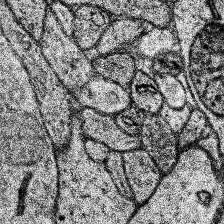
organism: Human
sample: Temporal Lobe